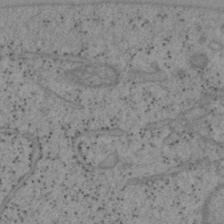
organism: Human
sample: HeLa cells